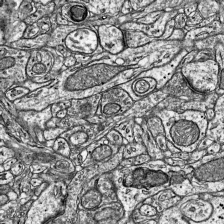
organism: Mouse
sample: Visual Cortex